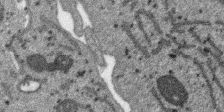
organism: Human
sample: Lung epithelial cells infected with SARS-CoV-2